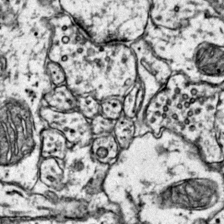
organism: Mouse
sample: Primary visual cortex